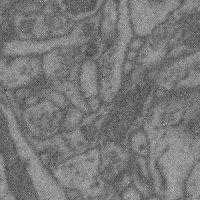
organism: Mouse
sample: Cerebral cortex